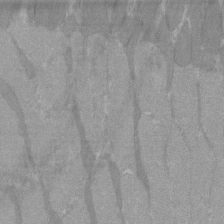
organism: C57BL Mouse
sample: Tibialis anterior muscle cell